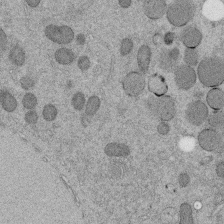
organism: C. elegans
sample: C. elegans embryo early stage